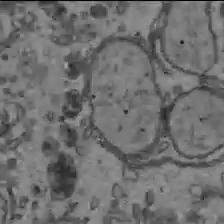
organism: C57BL Mouse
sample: Liver